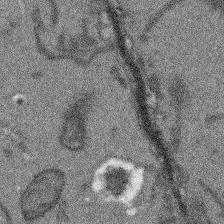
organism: Arabidopsis thaliana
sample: Root tip